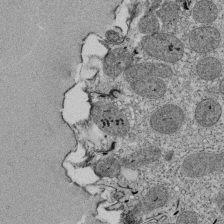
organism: Tetrahymena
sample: Cilia in tetrahymena